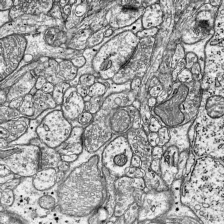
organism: Mouse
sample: Visual Cortex